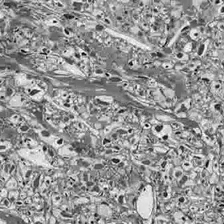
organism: Drosophila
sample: Optic lobe